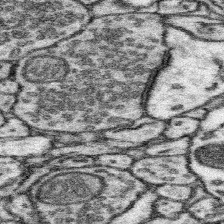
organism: Mouse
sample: Somatosensory cortex neuropil